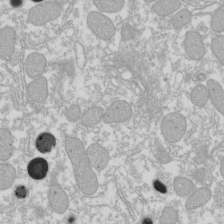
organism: Xenopus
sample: Cilia; centrioles in frog embryo cells